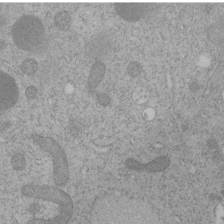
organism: C. elegans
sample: C. elegans embryo early stage